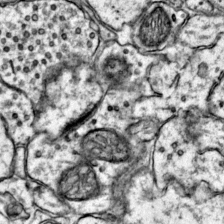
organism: Mouse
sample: Primary visual cortex